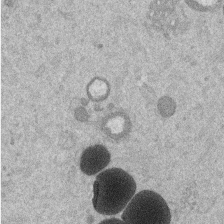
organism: Mouse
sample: Dividing mouse embryo 1 cell stage